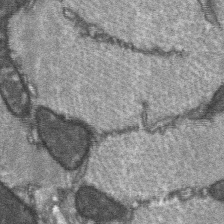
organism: C57BL Mouse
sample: Soleus